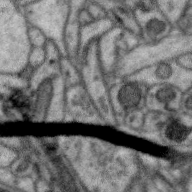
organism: Zebra finch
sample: Brain